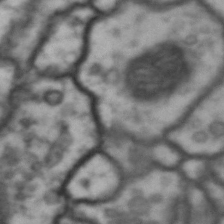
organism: Drosophila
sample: Brain